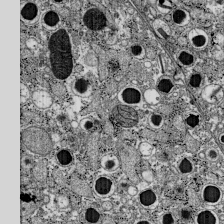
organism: C57BL Mouse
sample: Pancreatic islet